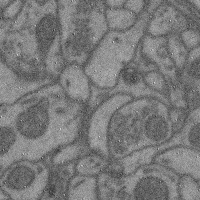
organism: Mouse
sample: Cerebral cortex